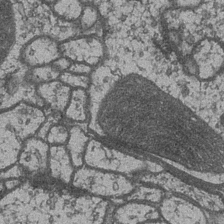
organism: Drosophila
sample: Optic medulla